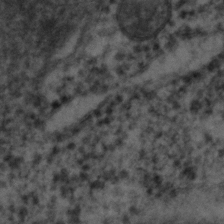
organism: C. elegans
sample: C. elegans embryo